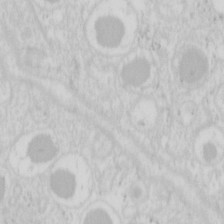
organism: Mouse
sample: Pancreas